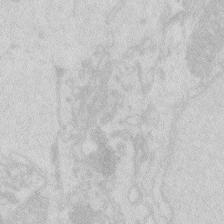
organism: Zebrafish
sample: Macrophage